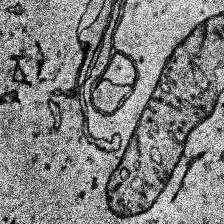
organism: Human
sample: Temporal Lobe